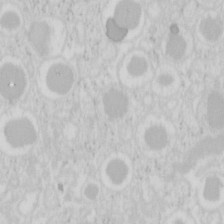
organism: Mouse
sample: Pancreas